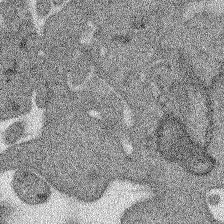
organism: Human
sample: HeLa cells